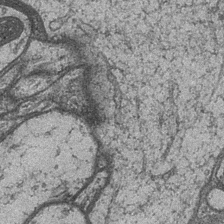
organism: Drosophila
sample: Optic medulla